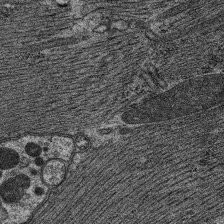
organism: C. elegans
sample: Pharynx